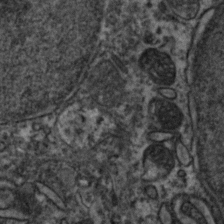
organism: Zebrafish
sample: Zebrafish embryo